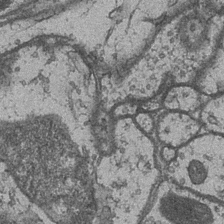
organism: Drosophila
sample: Optic medulla